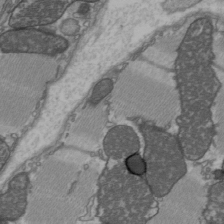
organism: C57BL Mouse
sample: Heart